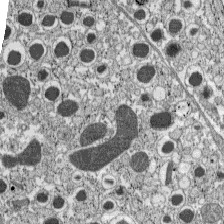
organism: C57BL Mouse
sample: Pancreatic islet